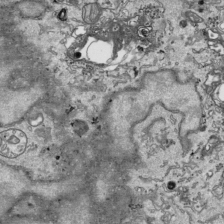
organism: Human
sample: Mitochondria in HCT116 cells